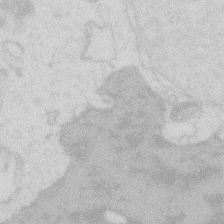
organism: Zebrafish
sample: Macrophage